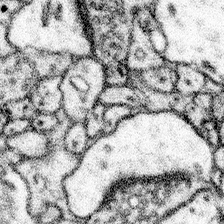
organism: Mouse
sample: Somatosensory cortex neuropil